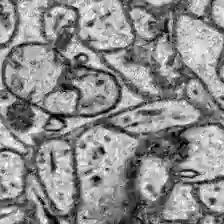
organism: Zebrafish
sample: Brain